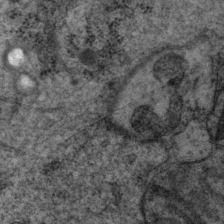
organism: P. pacificus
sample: Pharynx